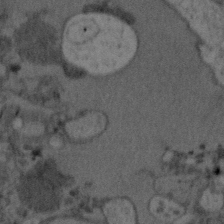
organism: Human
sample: HeLa cells